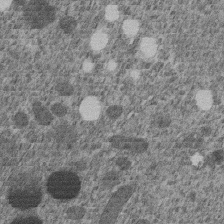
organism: C. elegans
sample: C. elegans embryo early stage